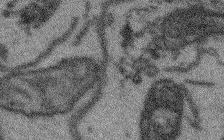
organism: Arabidopsis thaliana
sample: Root tip